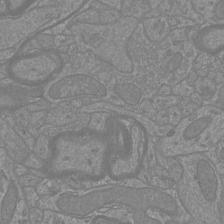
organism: Mouse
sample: Cortical neurons